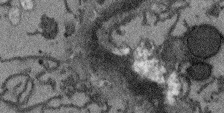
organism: Arabidopsis thaliana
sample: Root tip